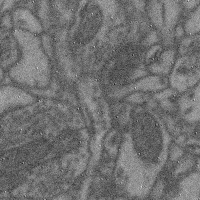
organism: Mouse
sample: Cerebral cortex